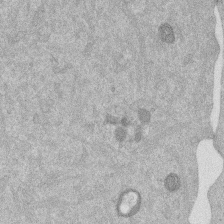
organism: Mouse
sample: Dividing mouse embryo 1 cell stage